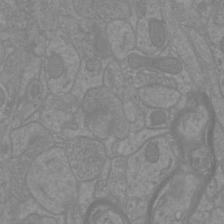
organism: Mouse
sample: Cortical neurons